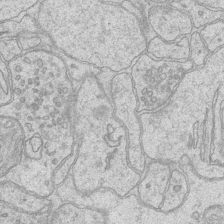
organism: Mouse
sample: CA1 Hippocampus